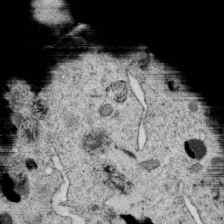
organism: C. elegans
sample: C. elegans oocyte; sperm cells